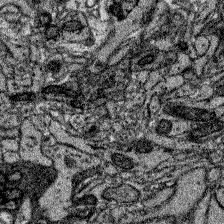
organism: Zebrafish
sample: Larval olfactory bulb